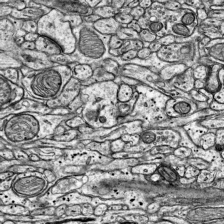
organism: Mouse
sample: Visual Cortex